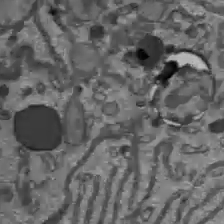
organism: C57BL Mouse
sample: Liver